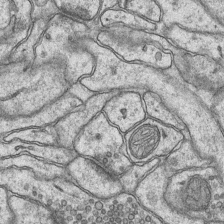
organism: Mouse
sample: CA1 Hippocampus